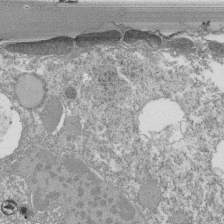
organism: Tetrahymena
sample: Cilia in tetrahymena